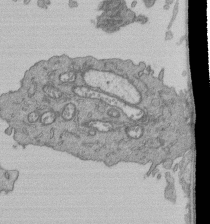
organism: Human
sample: Retinal organoid Rod and Cone cells